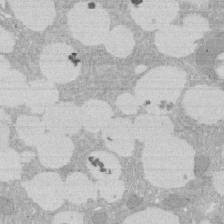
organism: Rat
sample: Salivary granule